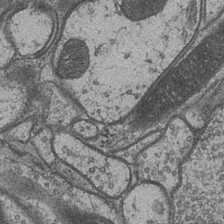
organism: Drosophila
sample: Optic medulla